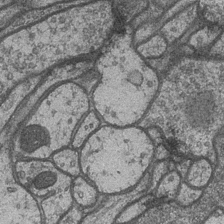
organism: Drosophila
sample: Optic medulla